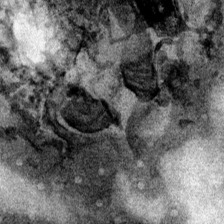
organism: Mouse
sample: Cancer cell death in ED-1 cells